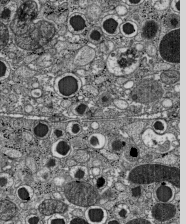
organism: C57BL Mouse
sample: Pancreatic islet